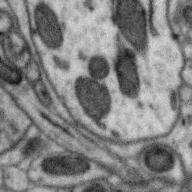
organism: Zebra finch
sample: Brain